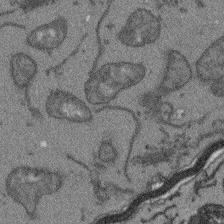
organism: Arabidopsis thaliana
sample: Root tip